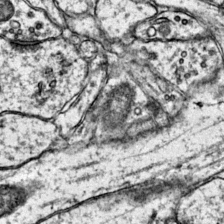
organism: Mouse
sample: Primary visual cortex